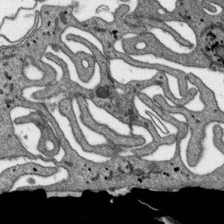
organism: Human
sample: Lung epithelial cells, uninfected (mock) control